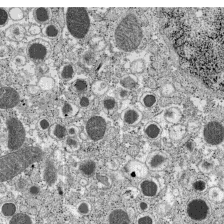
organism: C57BL Mouse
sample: Pancreatic islet